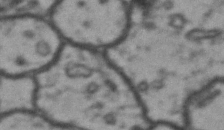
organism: Drosophila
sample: Brain